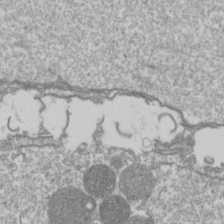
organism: Drosophila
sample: Cell division; meiosis; drosophila spermatocytes